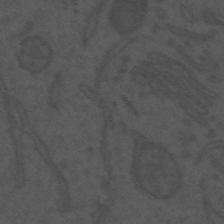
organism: Mouse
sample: Suprachiasmatic nucleus